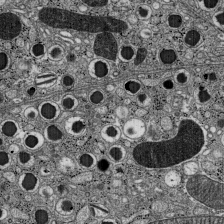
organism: C57BL Mouse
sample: Pancreatic islet